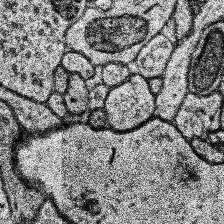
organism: Human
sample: Temporal Lobe